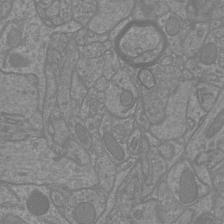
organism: Mouse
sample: Cortical neurons